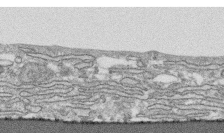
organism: Human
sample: CRL-1474